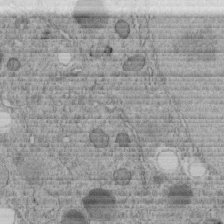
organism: C. elegans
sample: C. elegans embryo early stage